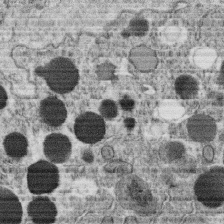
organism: C. elegans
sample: C. elegans oocyte; sperm cells